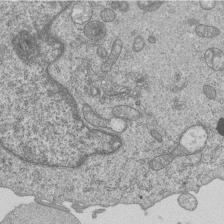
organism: Human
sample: MDA-MB-231 cells